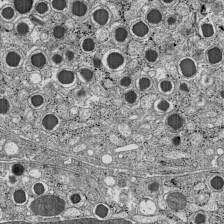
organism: C57BL Mouse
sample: Pancreatic islet